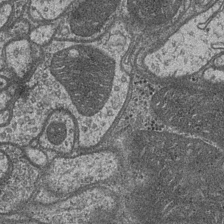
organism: Drosophila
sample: Optic medulla